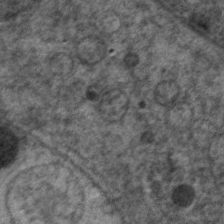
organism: C. elegans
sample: Pharynx